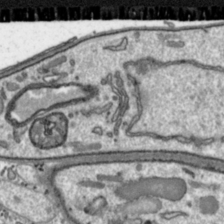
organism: Toxoplasma gondii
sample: Parasites in a vacuole inside a host cell